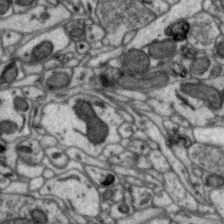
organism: Zebra finch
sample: Brain